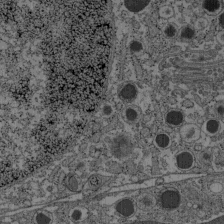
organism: C57BL Mouse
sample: Pancreatic islet